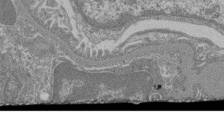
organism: Mouse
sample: Glomerulus